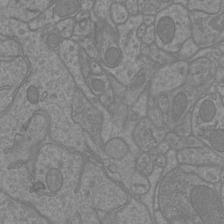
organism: Mouse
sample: Cortical neurons